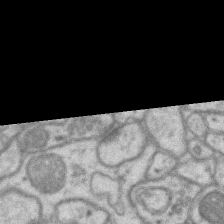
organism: Mouse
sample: CA1 Hippocampus